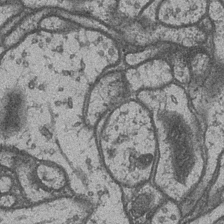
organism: Drosophila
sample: Optic medulla